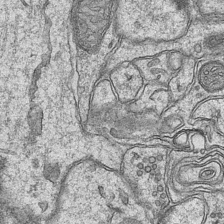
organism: Mouse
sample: CA1 Hippocampus